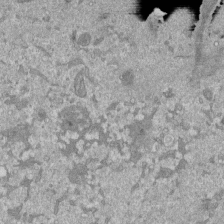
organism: Mouse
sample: ED-1 cell nuclei; centrioles